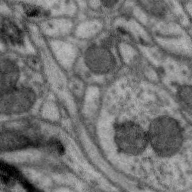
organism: Zebra finch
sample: Brain